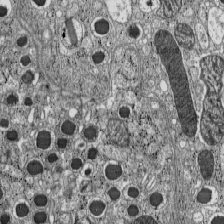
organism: C57BL Mouse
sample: Pancreatic islet